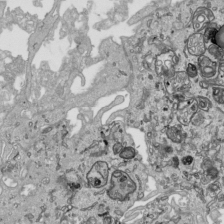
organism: Human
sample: Mitochondria in HCT116 cells